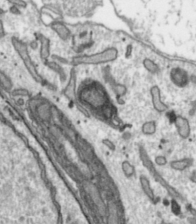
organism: Toxoplasma gondii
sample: Parasites in a vacuole inside a host cell